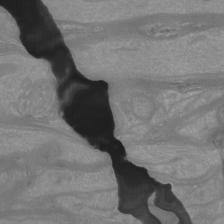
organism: Mouse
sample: Cortical neurons